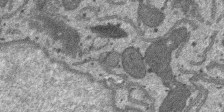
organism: Human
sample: Lung epithelial cells infected with SARS-CoV-2